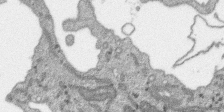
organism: Human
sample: Lung epithelial cells infected with SARS-CoV-2